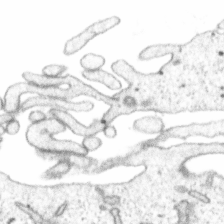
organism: Human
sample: HeLa cells